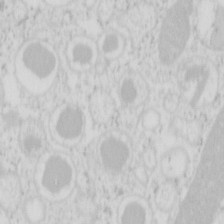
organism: Mouse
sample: Pancreas